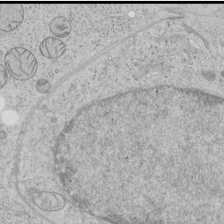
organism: Human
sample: Mitochondria in HCT116 cells